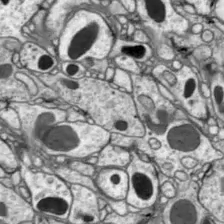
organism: Drosophila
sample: Optic lobe